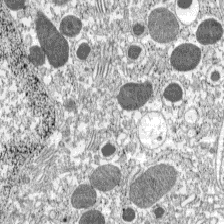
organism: C57BL Mouse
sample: Pancreatic islet